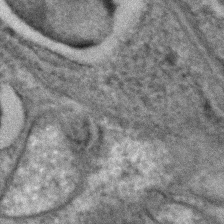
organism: C. elegans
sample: C. elegans embryo